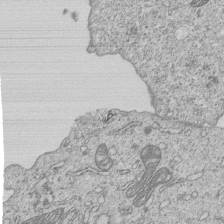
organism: Human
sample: MDA-MB-231 cells